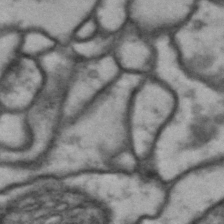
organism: Drosophila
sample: Brain